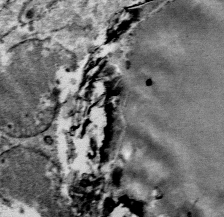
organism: Mouse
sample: Mouse Salivary gland